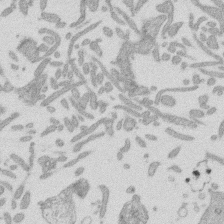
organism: Mouse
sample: Dividing mouse embryo 1 cell stage